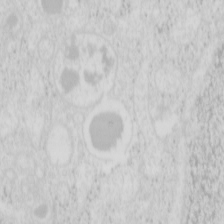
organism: Mouse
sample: Pancreas